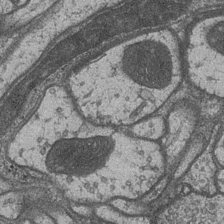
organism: Drosophila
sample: Optic medulla